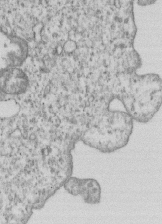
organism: Human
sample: MDA-MB-231 cells